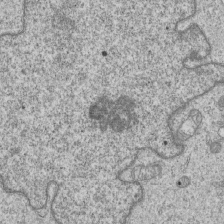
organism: Human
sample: MDA-MB-231 cells